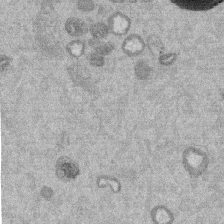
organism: Mouse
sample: Dividing mouse embryo 1 cell stage